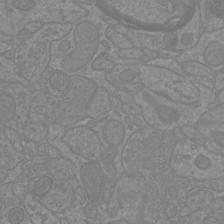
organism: Mouse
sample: Cortical neurons